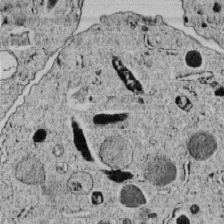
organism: C. elegans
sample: C. elegans embryo early stage